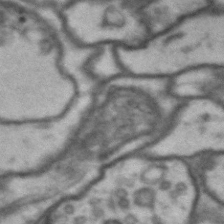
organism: Drosophila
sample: Brain